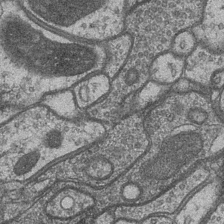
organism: Drosophila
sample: Optic medulla